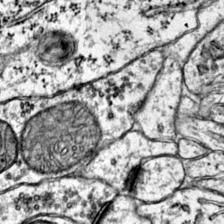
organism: Mouse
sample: Primary visual cortex